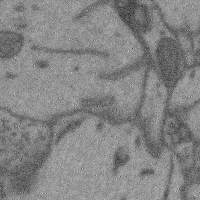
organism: Mouse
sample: Cerebral cortex